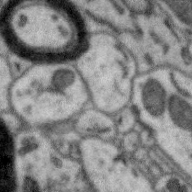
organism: Zebra finch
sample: Brain